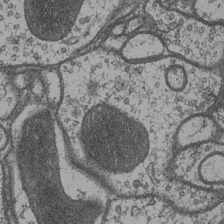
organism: Drosophila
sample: Optic medulla